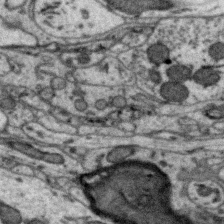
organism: Zebra finch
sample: Brain